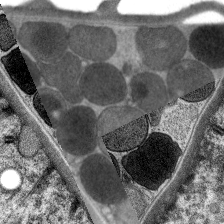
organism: C. elegans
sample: Pharynx